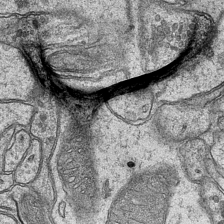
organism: Mouse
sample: CA1 Hippocampus